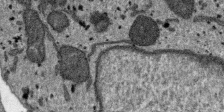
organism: Human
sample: Lung epithelial cells, uninfected (mock) control